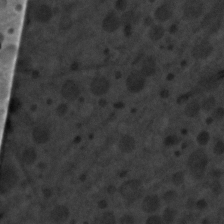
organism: C. elegans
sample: C. elegans embryo